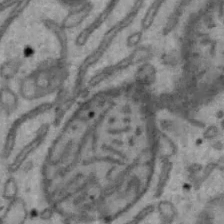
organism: Mouse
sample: Liver